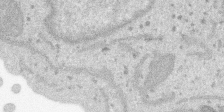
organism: Human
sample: Lung epithelial cells infected with SARS-CoV-2